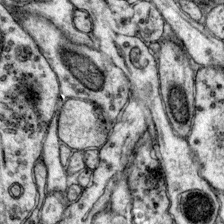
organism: Mouse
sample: Primary visual cortex